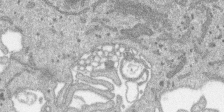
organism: Human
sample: Lung epithelial cells infected with SARS-CoV-2